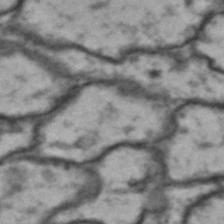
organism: Drosophila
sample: Brain